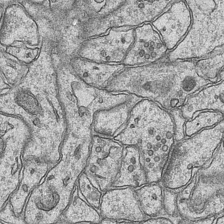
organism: Mouse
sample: CA1 Hippocampus